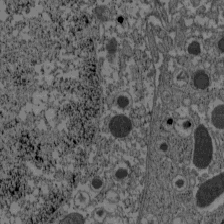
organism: C57BL Mouse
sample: Pancreatic islet